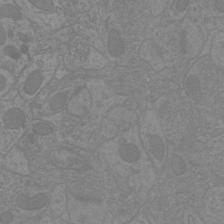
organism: Mouse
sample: Cortical neurons